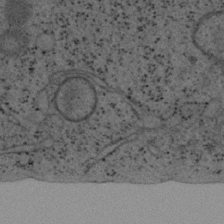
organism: Human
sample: HeLa cells